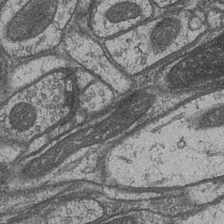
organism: Drosophila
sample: Optic medulla